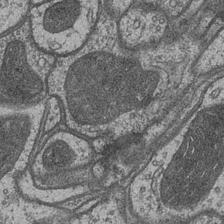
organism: Drosophila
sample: Optic medulla